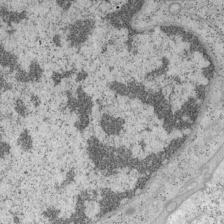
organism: Mouse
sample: OT-I killer T cells with ID8 ovarian cancer cells